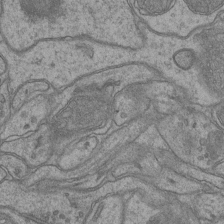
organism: Mouse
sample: CA1 Hippocampus